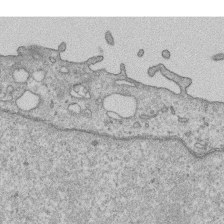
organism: Human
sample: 1205lu cells